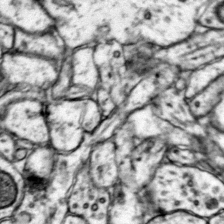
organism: Mouse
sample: Primary visual cortex